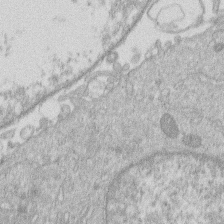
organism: Human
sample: Macrophage cells